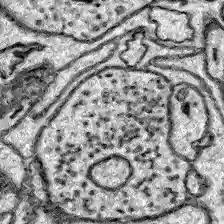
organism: Zebrafish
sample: Brain